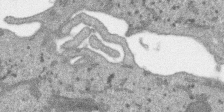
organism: Human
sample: Lung epithelial cells infected with SARS-CoV-2